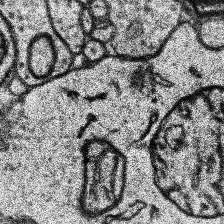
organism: Human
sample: Temporal Lobe